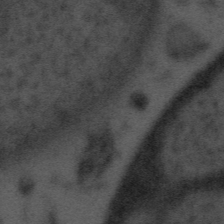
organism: Tuwongella immobilis